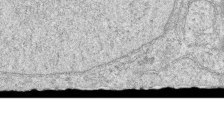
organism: Human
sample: HeLa cell HIV synapse